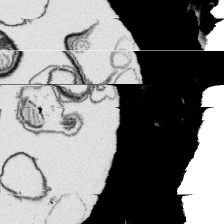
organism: Platynereis dumerilii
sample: Parapodia